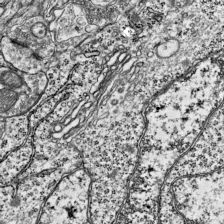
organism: Mouse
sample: Visual Cortex